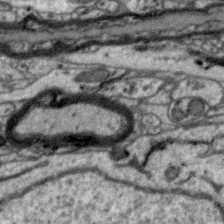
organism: Zebra finch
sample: Brain